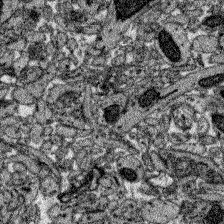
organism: Zebrafish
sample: Larval olfactory bulb